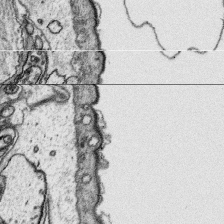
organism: Platynereis dumerilii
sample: Parapodia